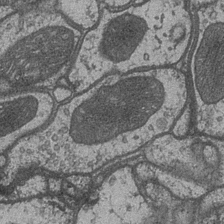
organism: Drosophila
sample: Optic medulla